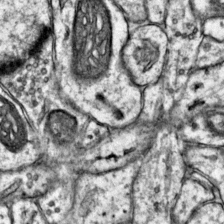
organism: Mouse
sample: Primary visual cortex